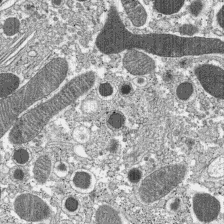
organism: C57BL Mouse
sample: Pancreatic islet